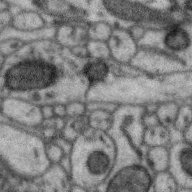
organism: Zebra finch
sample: Brain